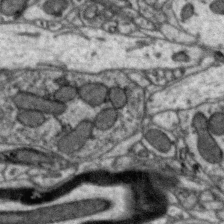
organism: Zebra finch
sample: Brain